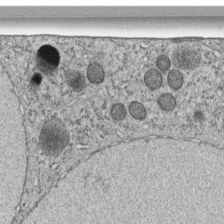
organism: C. elegans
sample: C. elegans embryo early stage